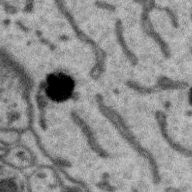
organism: Zebra finch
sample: Brain